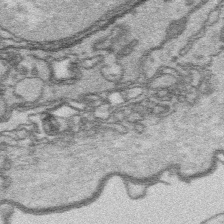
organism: Platynereis dumerilii